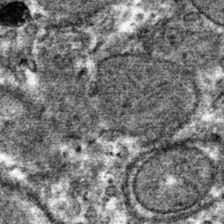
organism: Mouse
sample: Mouse hepatocytes